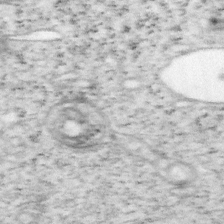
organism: Mouse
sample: OT-I killer T cells with ID8 ovarian cancer cells